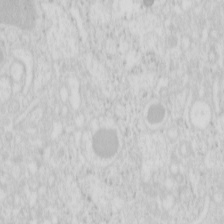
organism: Mouse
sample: Pancreas